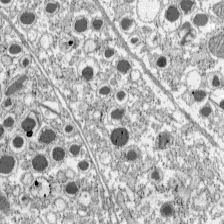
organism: C57BL Mouse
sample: Pancreatic islet